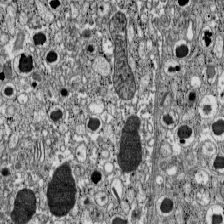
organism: C57BL Mouse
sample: Pancreatic islet